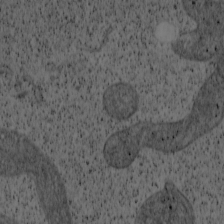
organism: African green monkey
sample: COS-7 cells